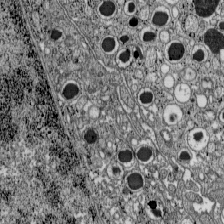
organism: C57BL Mouse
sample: Pancreatic islet